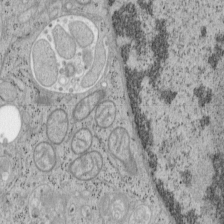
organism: Mouse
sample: OT-I killer T cells with ID8 ovarian cancer cells